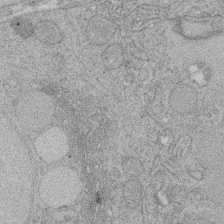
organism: Rat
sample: Salivary granule